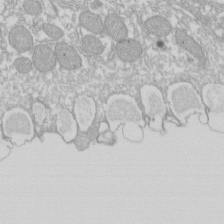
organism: Xenopus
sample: Cilia; centrioles in frog embryo cells